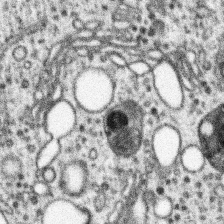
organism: Human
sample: HeLa cells